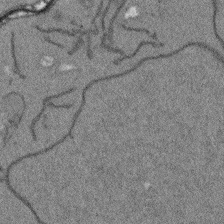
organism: Arabidopsis thaliana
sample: Root tip